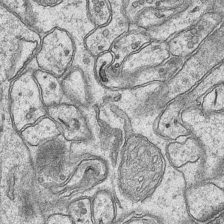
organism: Mouse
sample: CA1 Hippocampus